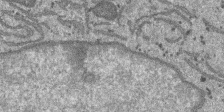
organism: Human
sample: Lung epithelial cells infected with SARS-CoV-2